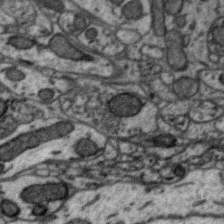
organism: Zebra finch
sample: Brain